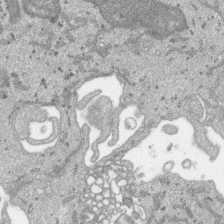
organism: Human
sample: Lung epithelial cells infected with SARS-CoV-2